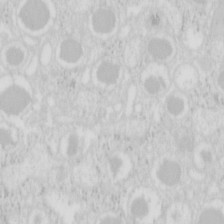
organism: Mouse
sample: Pancreas